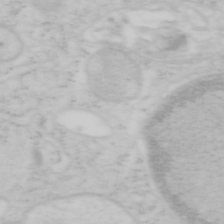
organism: Mouse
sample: OT-I killer T cells with ID8 ovarian cancer cells